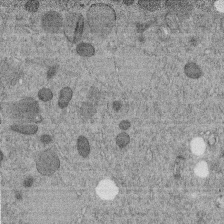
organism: C. elegans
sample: C. elegans embryo early stage